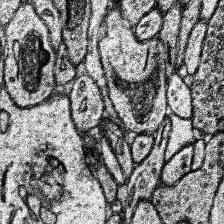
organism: Human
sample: Temporal Lobe